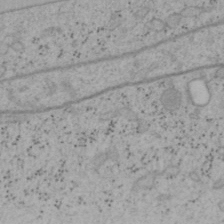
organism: Human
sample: HeLa cells